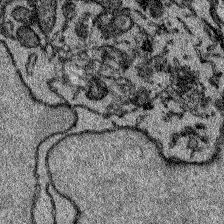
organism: Zebrafish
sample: Larval olfactory bulb